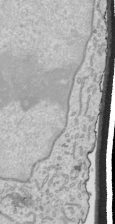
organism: Human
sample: Mitochondria in HCT116 cells